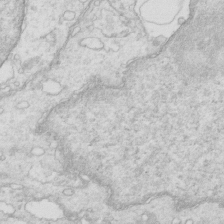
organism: Mouse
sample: Multiciliated cells